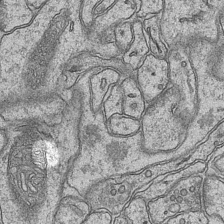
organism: Mouse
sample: CA1 Hippocampus